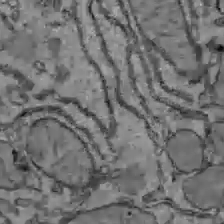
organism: C57BL Mouse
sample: Liver